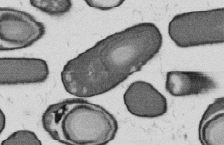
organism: B. subtilis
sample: Bacterial spore